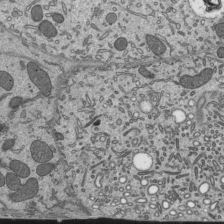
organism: Mouse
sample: Mouse epididymis efferent ductule cilia